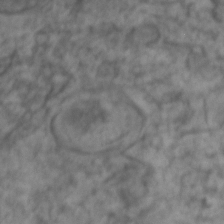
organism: Zebrafish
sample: Zebrafish embryo